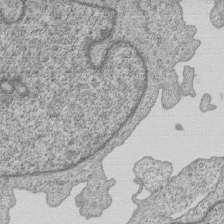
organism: Human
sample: MDA-MB-231 cells